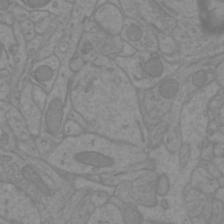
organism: Mouse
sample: Cortical neurons